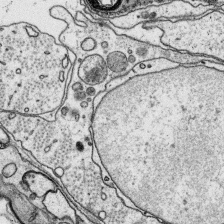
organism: Platynereis dumerilii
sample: Parapodia